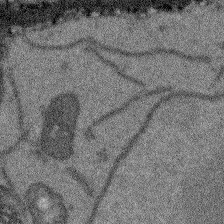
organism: Arabidopsis thaliana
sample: Root tip